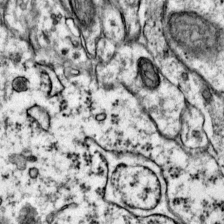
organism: Mouse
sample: Primary visual cortex